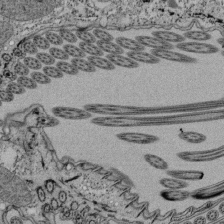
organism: Tetrahymena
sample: Cilia in tetrahymena